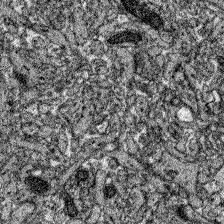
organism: Zebrafish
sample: Larval olfactory bulb